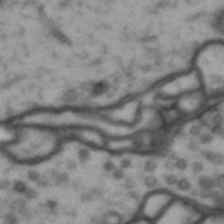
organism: Drosophila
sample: Brain